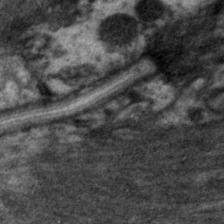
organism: C. elegans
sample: Pharynx